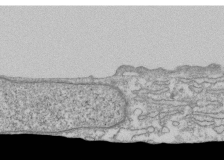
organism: Human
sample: Fibroblast cells